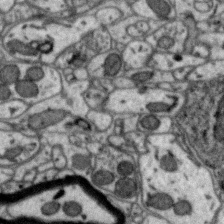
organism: Zebra finch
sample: Brain